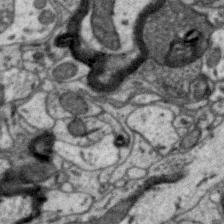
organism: Zebra finch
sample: Brain